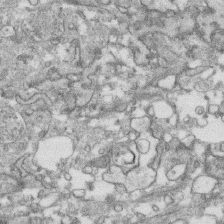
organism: Human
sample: CRL-1474